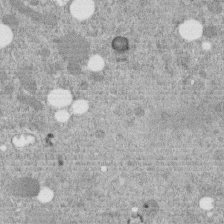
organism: C. elegans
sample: C. elegans embryo early stage